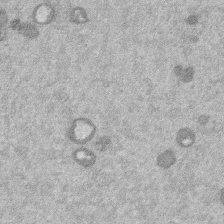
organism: Mouse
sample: Dividing mouse embryo 1 cell stage